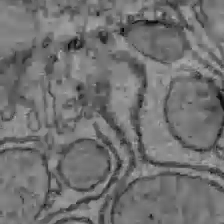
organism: C57BL Mouse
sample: Liver